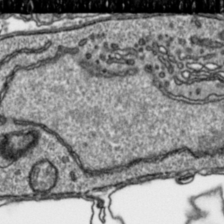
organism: Toxoplasma gondii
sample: Parasites in a vacuole inside a host cell